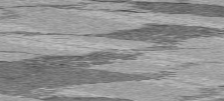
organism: C57BL Mouse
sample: Heart